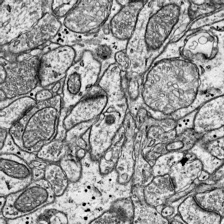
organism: Mouse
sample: Visual Cortex